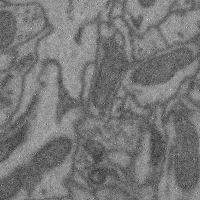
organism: Mouse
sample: Cerebral cortex